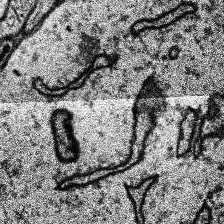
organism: Human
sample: Temporal Lobe